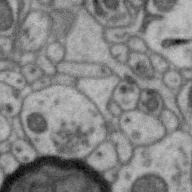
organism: Zebra finch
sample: Brain